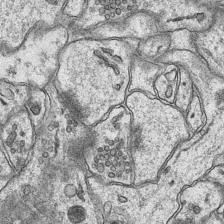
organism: Mouse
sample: CA1 Hippocampus